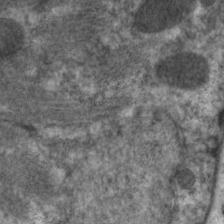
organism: C. elegans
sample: Pharynx